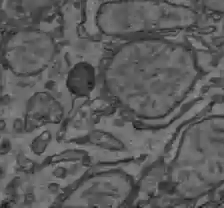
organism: C57BL Mouse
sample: Liver